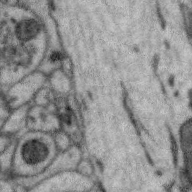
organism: Zebra finch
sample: Brain